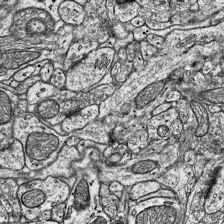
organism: Mouse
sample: Visual Cortex